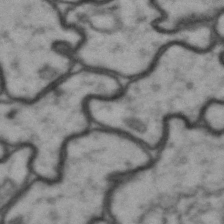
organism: Drosophila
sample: Brain